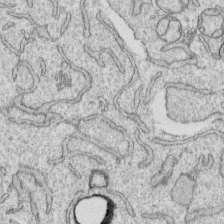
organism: Human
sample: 1205lu cells